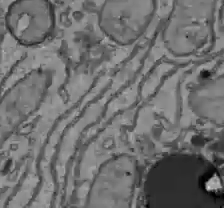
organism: C57BL Mouse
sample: Liver